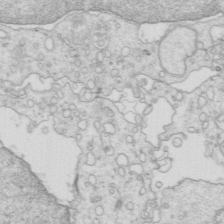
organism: Mouse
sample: Multiciliated cells